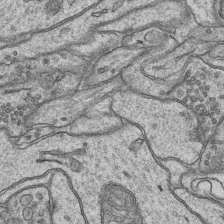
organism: Mouse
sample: CA1 Hippocampus